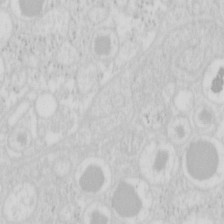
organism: Mouse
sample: Pancreas